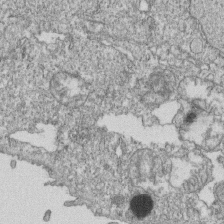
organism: Human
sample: HeLa cell HIV synapse